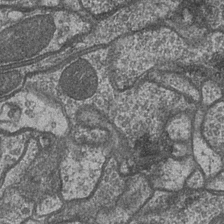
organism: Drosophila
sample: Optic medulla